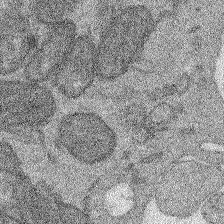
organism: Human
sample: HeLa cells